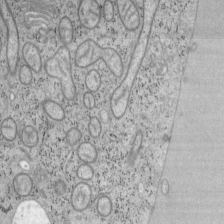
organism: Mouse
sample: OT-I killer T cells with ID8 ovarian cancer cells